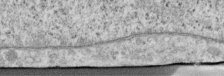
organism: Human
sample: Centriole in RPE cells